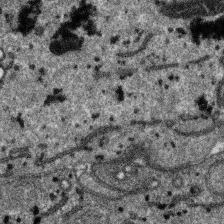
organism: Human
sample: Lung epithelial cells infected with SARS-CoV-2